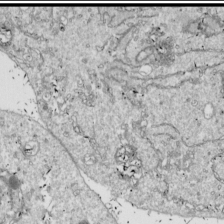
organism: Drosophila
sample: Cell division; meiosis; drosophila spermatocytes